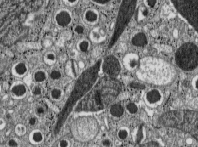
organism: C57BL Mouse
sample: Pancreatic islet